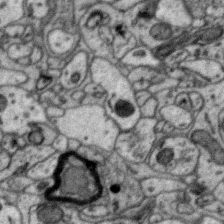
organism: Zebra finch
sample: Brain